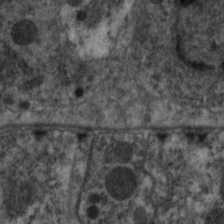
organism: C. elegans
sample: Pharynx